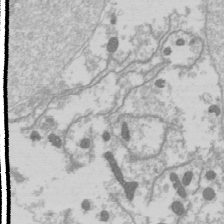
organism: Drosophila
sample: Cell division; meiosis; drosophila spermatocytes